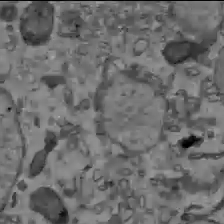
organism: C57BL Mouse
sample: Liver